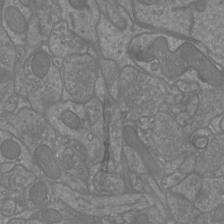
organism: Mouse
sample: Cortical neurons